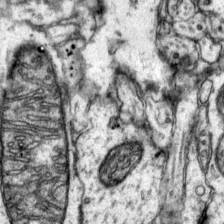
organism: Mouse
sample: Primary visual cortex